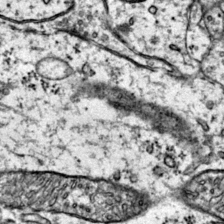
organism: Mouse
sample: Primary visual cortex